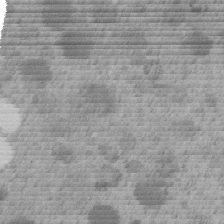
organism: C. elegans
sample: C. elegans embryo early stage